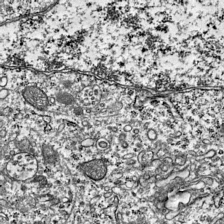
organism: Mouse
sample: Visual Cortex